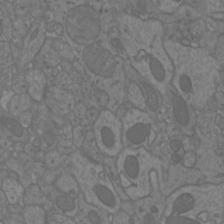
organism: Mouse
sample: Cortical neurons